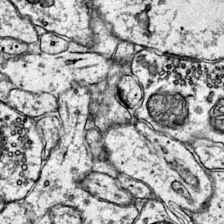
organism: Mouse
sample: Primary visual cortex